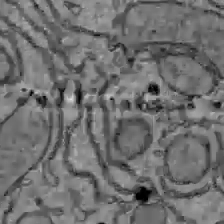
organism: C57BL Mouse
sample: Liver